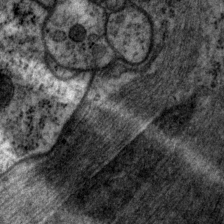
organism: P. pacificus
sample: Pharynx